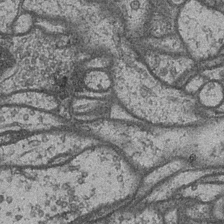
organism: Drosophila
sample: Optic medulla